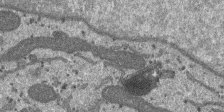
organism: Human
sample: Lung epithelial cells infected with SARS-CoV-2